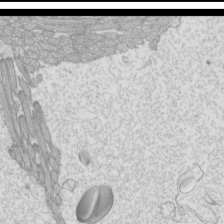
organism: Mouse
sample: Cilia; mouse epididymis